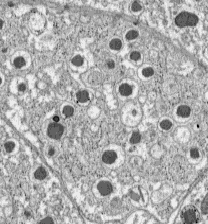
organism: C57BL Mouse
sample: Pancreatic islet